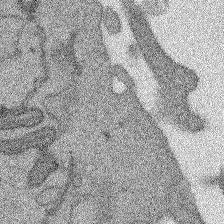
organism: Human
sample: HeLa cells